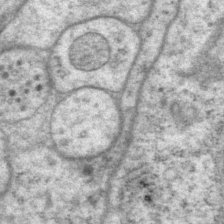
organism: P. pacificus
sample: Pharynx